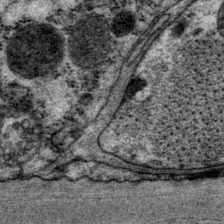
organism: P. pacificus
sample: Pharynx